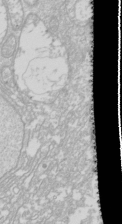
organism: Drosophila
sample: Cell division; meiosis; drosophila spermatocytes